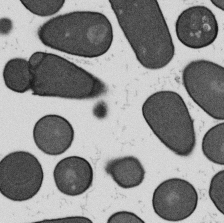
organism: B. subtilis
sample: Bacterial spore